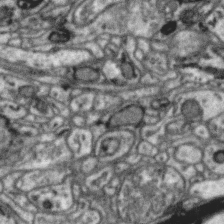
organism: Zebra finch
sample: Brain